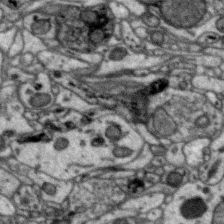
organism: Zebra finch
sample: Brain